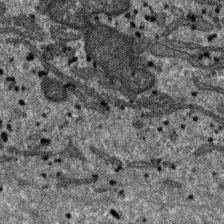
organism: Human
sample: Lung epithelial cells infected with SARS-CoV-2